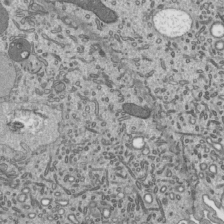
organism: Mouse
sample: Mouse epididymis efferent ductule cilia